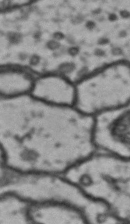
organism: Drosophila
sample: Brain